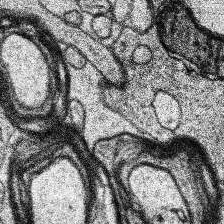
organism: Human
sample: Temporal Lobe